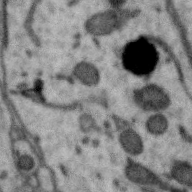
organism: Zebra finch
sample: Brain